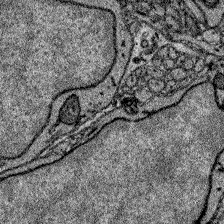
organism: Zebrafish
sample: Larval olfactory bulb